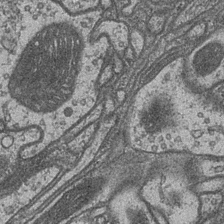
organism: Drosophila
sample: Optic medulla